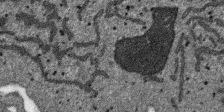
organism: Human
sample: Lung epithelial cells infected with SARS-CoV-2